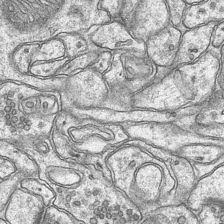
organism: Mouse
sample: CA1 Hippocampus